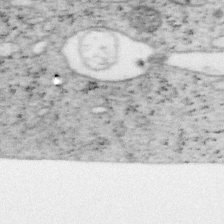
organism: Mouse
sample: OT-I killer T cells with ID8 ovarian cancer cells